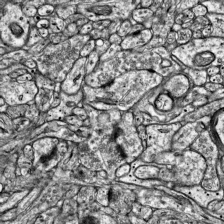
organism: Mouse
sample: Visual Cortex